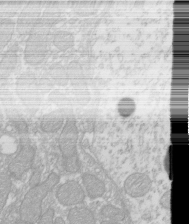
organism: Xenopus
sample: Cilia; centrioles in frog embryo cells